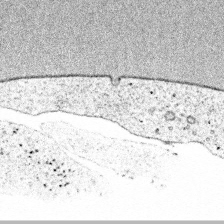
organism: Human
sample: HeLa cells